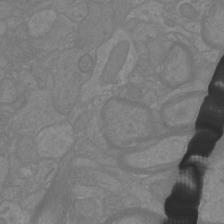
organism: Mouse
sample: Cortical neurons